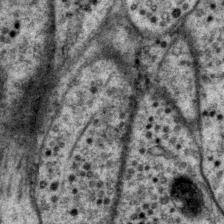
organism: P. pacificus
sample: Pharynx